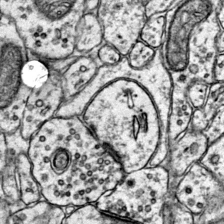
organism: Mouse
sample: Primary visual cortex